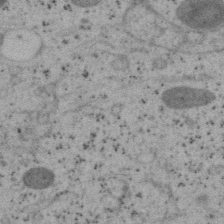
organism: Human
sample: HeLa cells